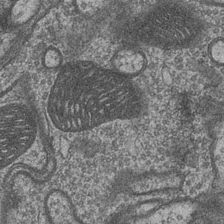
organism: Drosophila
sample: Optic medulla